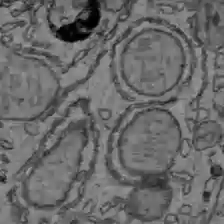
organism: C57BL Mouse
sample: Liver